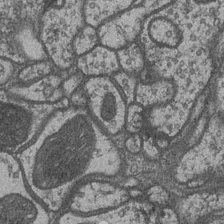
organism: Drosophila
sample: Optic medulla